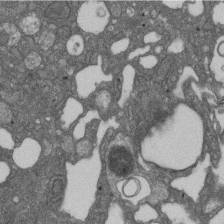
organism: Drosophila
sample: Nephrocyte